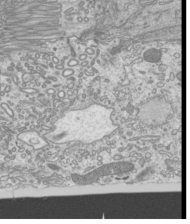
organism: Mouse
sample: Cilia; mouse epididymis